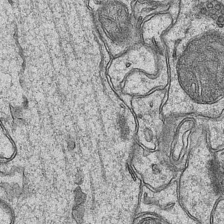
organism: Mouse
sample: CA1 Hippocampus